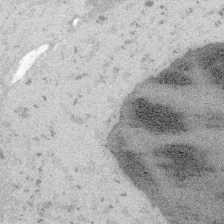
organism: Embia sp.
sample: Silk gland